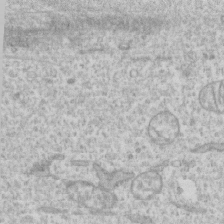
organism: Human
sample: CRL-1474